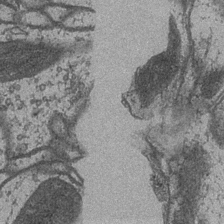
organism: Drosophila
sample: Optic medulla